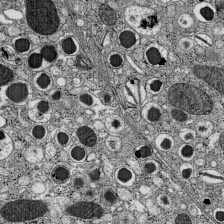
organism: C57BL Mouse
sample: Pancreatic islet